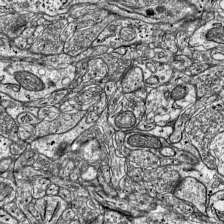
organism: Mouse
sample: Visual Cortex